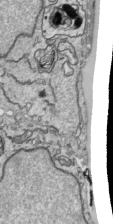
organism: Human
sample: Mitochondria in HCT116 cells